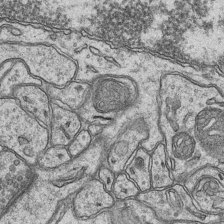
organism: Mouse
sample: CA1 Hippocampus